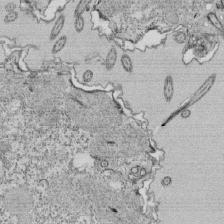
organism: Tetrahymena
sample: Cilia in tetrahymena